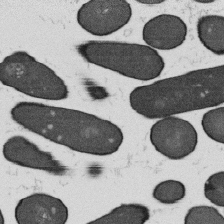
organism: B. subtilis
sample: Bacterial spore